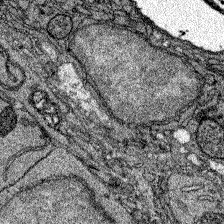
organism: Zebrafish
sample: Larval olfactory bulb